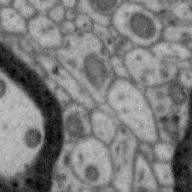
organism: Zebra finch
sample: Brain